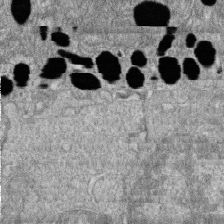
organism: Zebrafish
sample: Cilia; retinal pigment epithelium